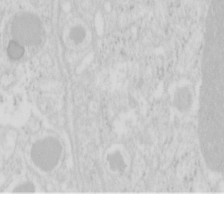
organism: Mouse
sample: Pancreas